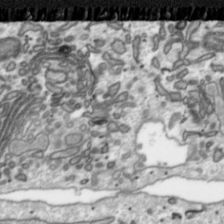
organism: Toxoplasma gondii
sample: Parasites in a vacuole inside a host cell